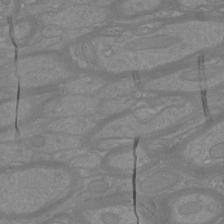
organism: Mouse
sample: Cortical neurons